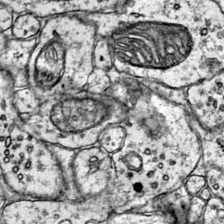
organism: Mouse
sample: Primary visual cortex